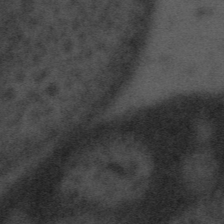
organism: Tuwongella immobilis